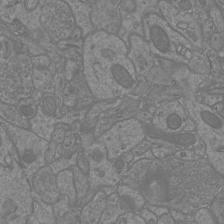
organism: Mouse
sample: Cortical neurons